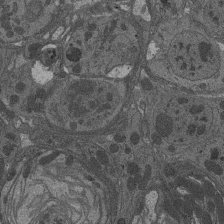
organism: Drosophila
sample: Antenna